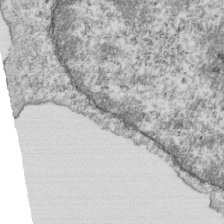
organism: Mouse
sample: Activated OT-1 CD8+ T cells